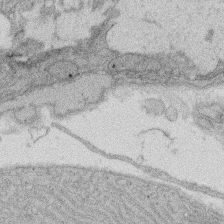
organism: Rat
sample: Salivary granule